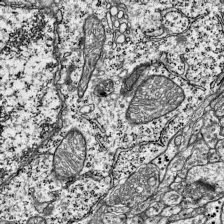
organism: Mouse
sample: Visual Cortex